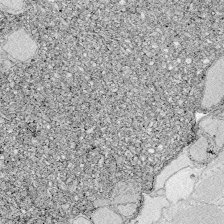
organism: Zebrafish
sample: Whole-Brain